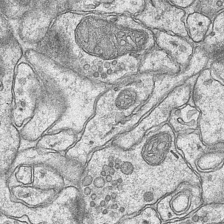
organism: Mouse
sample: CA1 Hippocampus